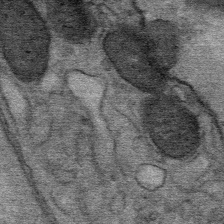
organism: Mouse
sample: Mouse Salivary gland